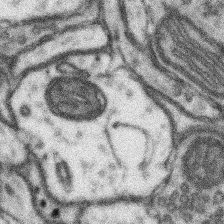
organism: Mouse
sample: Somatosensory cortex neuropil